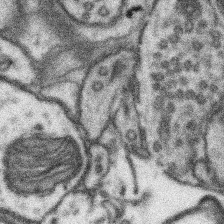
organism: Mouse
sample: Somatosensory cortex neuropil